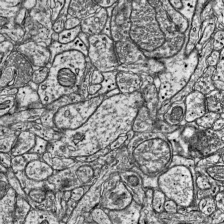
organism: Mouse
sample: Visual Cortex